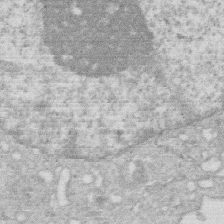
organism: Human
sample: Macrophage cells